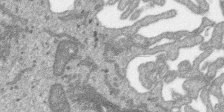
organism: Human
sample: Lung epithelial cells infected with SARS-CoV-2